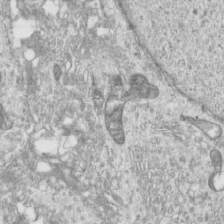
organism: Human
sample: Centriole in RPE cells